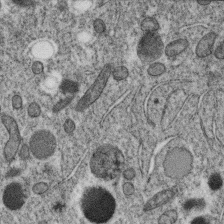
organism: C. elegans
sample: C. elegans oocyte; sperm cells